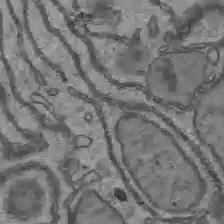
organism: C57BL Mouse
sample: Liver